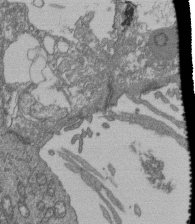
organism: Human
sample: Retinal organoid Rod and Cone cells